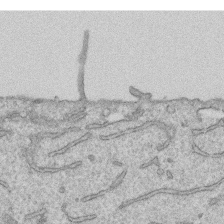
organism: Human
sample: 1205lu cells